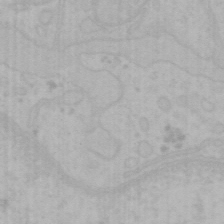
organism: Mouse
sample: Choroid plexus